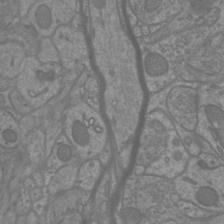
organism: Mouse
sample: Cortical neurons